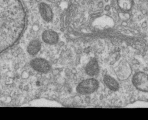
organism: Human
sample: Centriole in RPE cells